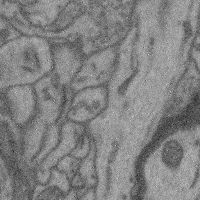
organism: Mouse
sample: Cerebral cortex